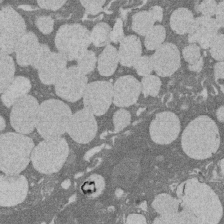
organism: Rat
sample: Salivary granule